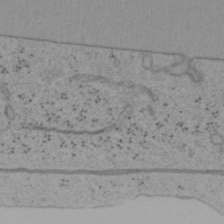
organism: Human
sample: HeLa cells